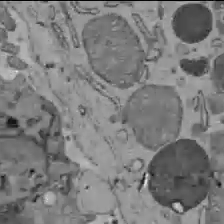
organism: C57BL Mouse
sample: Liver